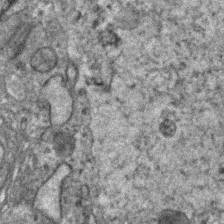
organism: Human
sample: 1205lu cells